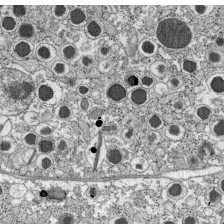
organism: C57BL Mouse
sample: Pancreatic islet